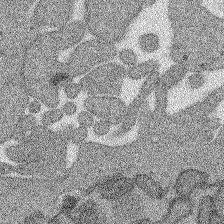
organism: Human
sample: HeLa cells